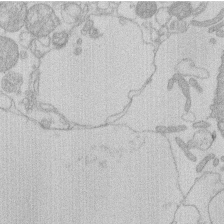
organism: Human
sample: Macrophage cells